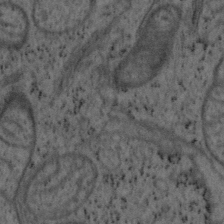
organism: Human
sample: HeLa cells